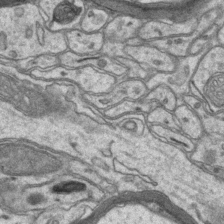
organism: Mouse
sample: CA1 Hippocampus